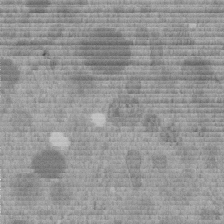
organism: C. elegans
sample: C. elegans embryo early stage